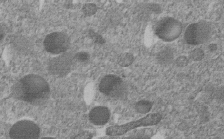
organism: C. elegans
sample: C. elegans embryo early stage